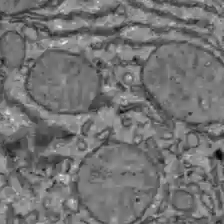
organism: C57BL Mouse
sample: Liver